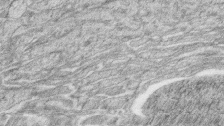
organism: Zebrafish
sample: synaptic ribbons in rod cells and cone cells